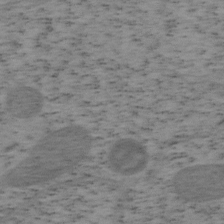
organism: Mouse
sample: OT-I killer T cells with ID8 ovarian cancer cells